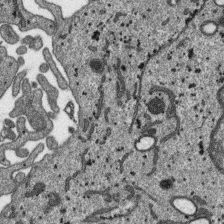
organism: Human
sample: Lung epithelial cells infected with SARS-CoV-2